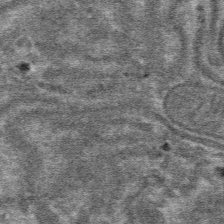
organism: Mouse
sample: Mouse hepatocytes